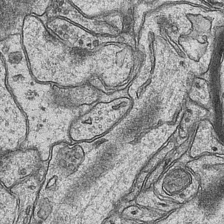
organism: Mouse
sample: CA1 Hippocampus